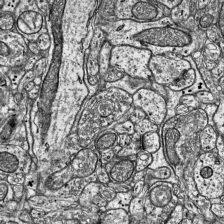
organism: Mouse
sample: Visual Cortex